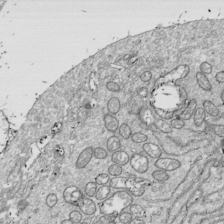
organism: Drosophila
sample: Cell division; meiosis; drosophila spermatocytes